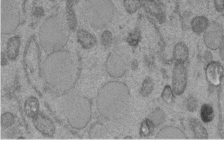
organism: C. elegans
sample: C. elegans embryo early stage